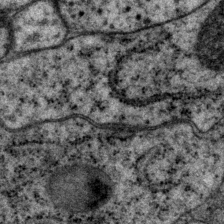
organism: P. pacificus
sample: Pharynx